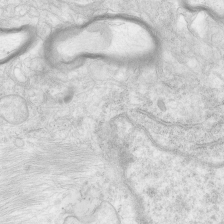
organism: Human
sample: Neocortex